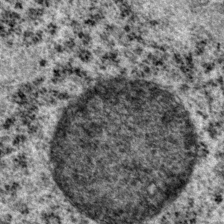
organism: P. pacificus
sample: Pharynx